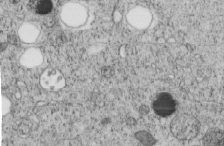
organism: C. elegans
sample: C. elegans embryo early stage